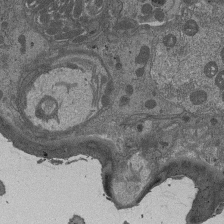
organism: Drosophila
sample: Antenna